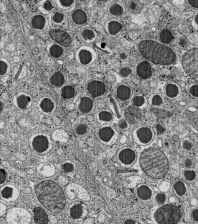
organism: C57BL Mouse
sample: Pancreatic islet